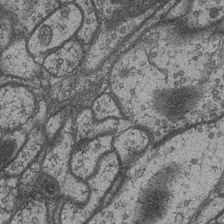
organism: Drosophila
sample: Optic medulla